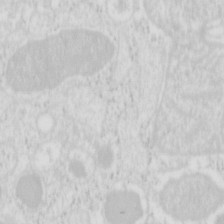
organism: Mouse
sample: Pancreas